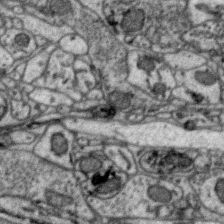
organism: Zebra finch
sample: Brain